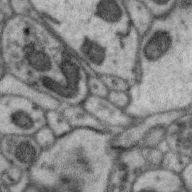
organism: Zebra finch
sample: Brain